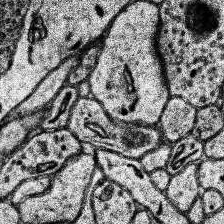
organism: Human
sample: Temporal Lobe